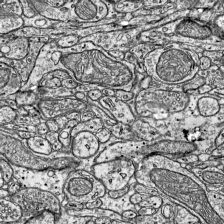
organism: Mouse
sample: Visual Cortex